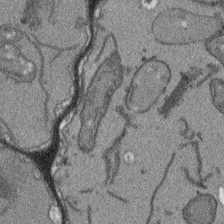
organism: Arabidopsis thaliana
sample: Root tip